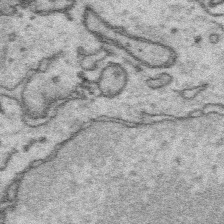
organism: Platynereis dumerilii